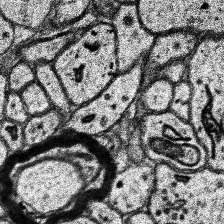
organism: Human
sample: Temporal Lobe